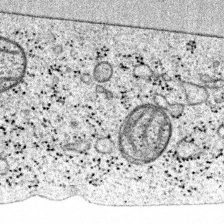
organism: Human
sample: HeLa cells